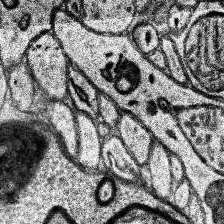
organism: Human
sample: Temporal Lobe